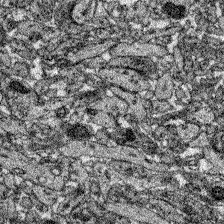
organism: Zebrafish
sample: Larval olfactory bulb